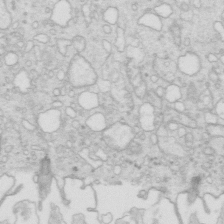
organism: Mouse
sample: Multiciliated cells